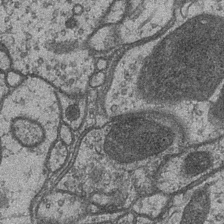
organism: Drosophila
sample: Optic medulla